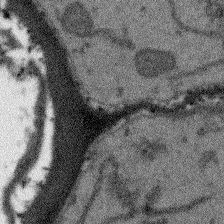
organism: Arabidopsis thaliana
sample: Root tip